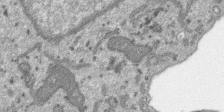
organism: Human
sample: Lung epithelial cells infected with SARS-CoV-2